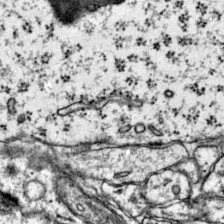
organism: Mouse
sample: Primary visual cortex